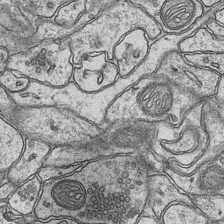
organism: Mouse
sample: CA1 Hippocampus